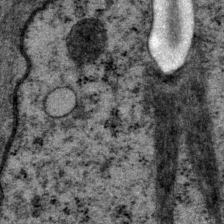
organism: P. pacificus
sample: Pharynx